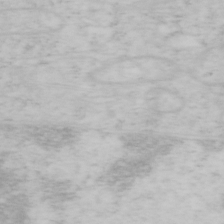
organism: Mouse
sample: OT-I killer T cells with ID8 ovarian cancer cells